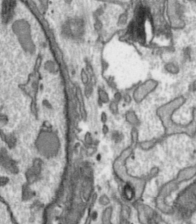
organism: Toxoplasma gondii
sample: Parasites in a vacuole inside a host cell